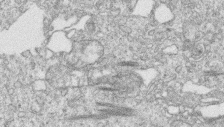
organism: Human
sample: HeLa cell HIV synapse